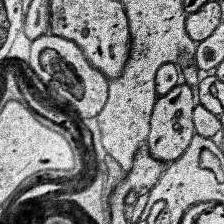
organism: Human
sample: Temporal Lobe